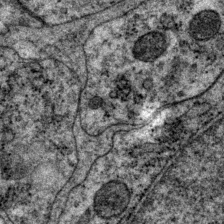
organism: P. pacificus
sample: Pharynx